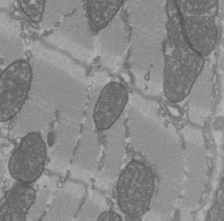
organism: C57BL Mouse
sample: Heart